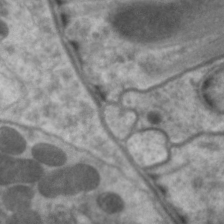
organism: C. elegans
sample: Pharynx